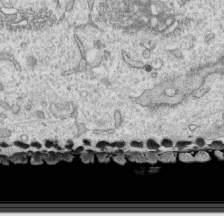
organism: Human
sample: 1205lu cells